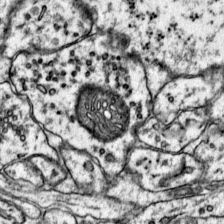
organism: Mouse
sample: Primary visual cortex